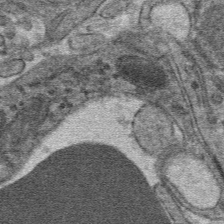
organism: Mouse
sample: Mouse hepatocytes